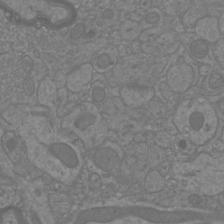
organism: Mouse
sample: Cortical neurons